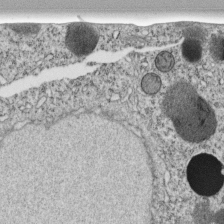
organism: C. elegans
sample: C. elegans embryo early stage